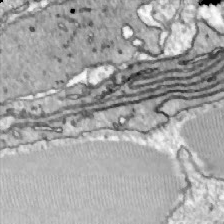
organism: Zebrafish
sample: Actinotrichia fibers